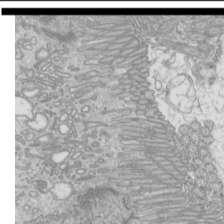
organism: Mouse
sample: Cilia; mouse epididymis